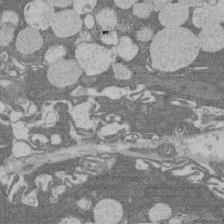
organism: Rat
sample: Salivary granule